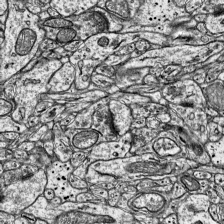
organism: Mouse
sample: Visual Cortex